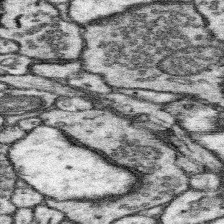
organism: Mouse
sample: Somatosensory cortex neuropil